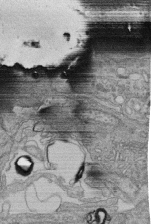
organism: Human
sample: Retinal organoid Rod and Cone cells